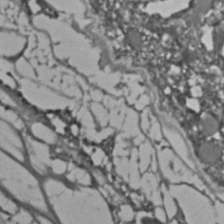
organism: C. elegans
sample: C. elegans embryo